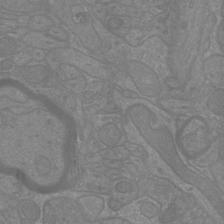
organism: Mouse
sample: Cortical neurons